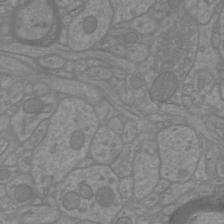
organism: Mouse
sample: Cortical neurons